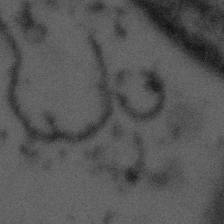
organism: Tuwongella immobilis